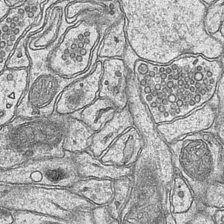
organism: Mouse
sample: CA1 Hippocampus